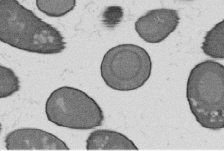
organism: B. subtilis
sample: Bacterial spore